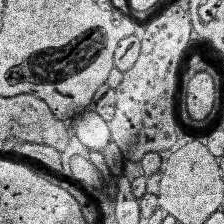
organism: Human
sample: Temporal Lobe